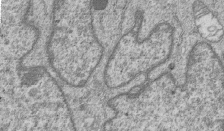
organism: Human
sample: MDA-MB-231 cells